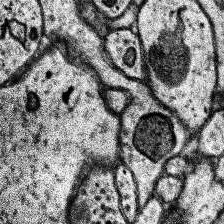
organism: Human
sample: Temporal Lobe